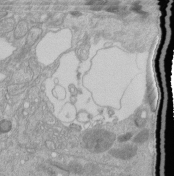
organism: Human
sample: Retinal organoid Rod and Cone cells